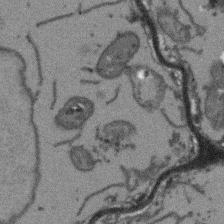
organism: Arabidopsis thaliana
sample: Root tip